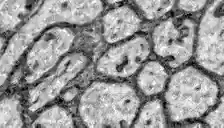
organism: Zebrafish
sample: Brain